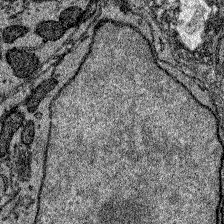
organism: Zebrafish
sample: Larval olfactory bulb